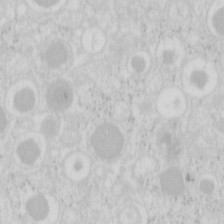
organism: Mouse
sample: Pancreas